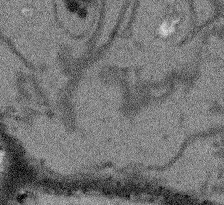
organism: Arabidopsis thaliana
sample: Root tip